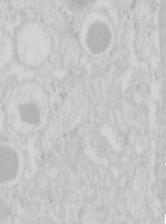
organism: Mouse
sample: Pancreas